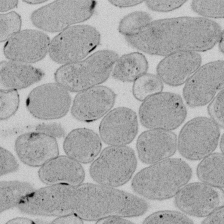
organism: E. coli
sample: Bacterial nucleoid